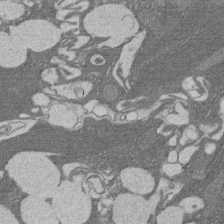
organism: Rat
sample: Salivary granule